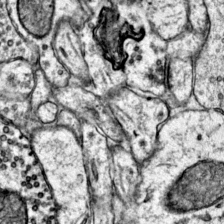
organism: Mouse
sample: Primary visual cortex